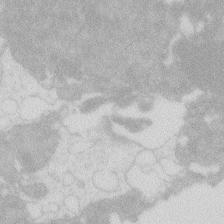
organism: Zebrafish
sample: Macrophage